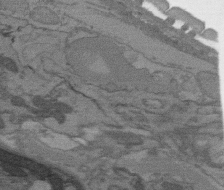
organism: C. elegans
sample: AFD neurons C. elegans